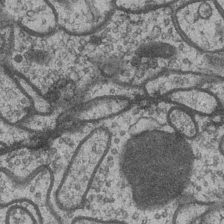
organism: Drosophila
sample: Optic medulla